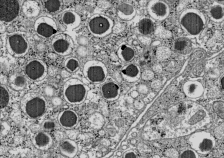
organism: C57BL Mouse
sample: Pancreatic islet